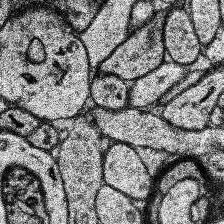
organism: Human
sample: Temporal Lobe